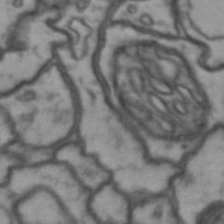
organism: Drosophila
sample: Brain